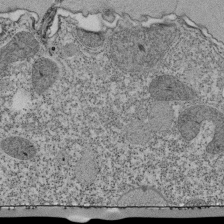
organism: Tetrahymena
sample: Cilia in tetrahymena